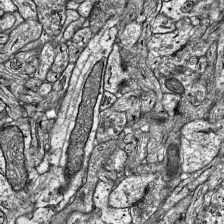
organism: Mouse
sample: Visual Cortex